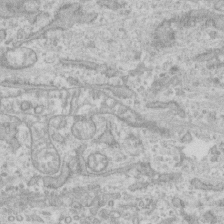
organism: Human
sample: CRL-1474